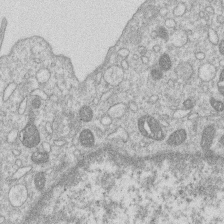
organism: Human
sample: Macrophage cells